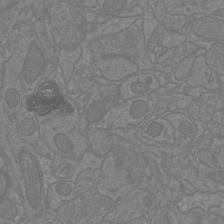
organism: Mouse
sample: Cortical neurons